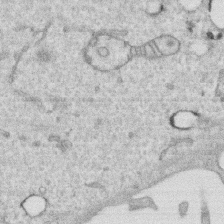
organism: Human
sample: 1205lu cells